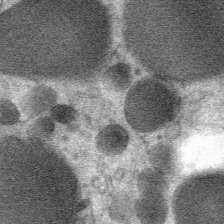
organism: Mouse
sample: Mouse Salivary gland